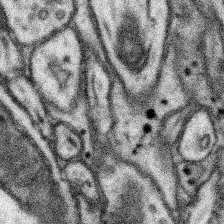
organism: Mouse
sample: Somatosensory cortex neuropil